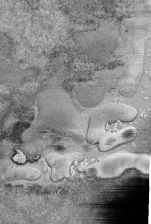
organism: Human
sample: Retinal organoid Rod and Cone cells